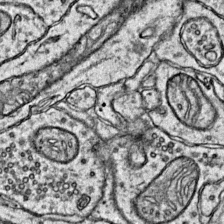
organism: Mouse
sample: Primary visual cortex